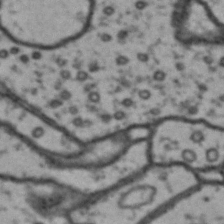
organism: Drosophila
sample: Brain